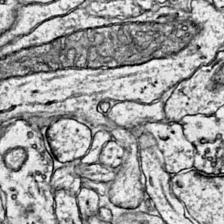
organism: Mouse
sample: Primary visual cortex